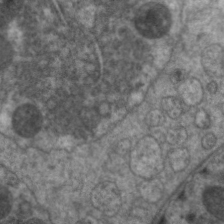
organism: C. elegans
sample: Pharynx